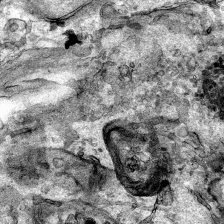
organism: Human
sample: Mitochondria in HCT116 cells